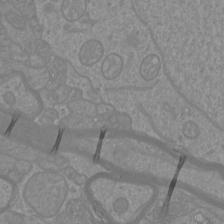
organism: Mouse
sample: Cortical neurons